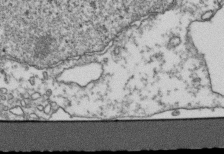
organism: Human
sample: Activated Jurkat CD4+ T cells